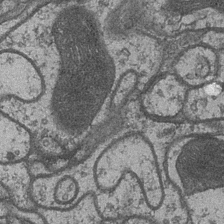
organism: Drosophila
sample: Optic medulla